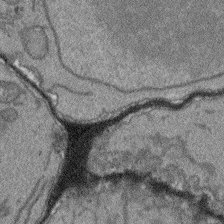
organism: Arabidopsis thaliana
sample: Root tip